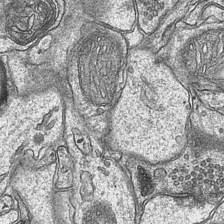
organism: Mouse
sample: CA1 Hippocampus